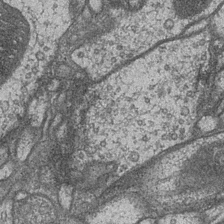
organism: Drosophila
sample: Optic medulla